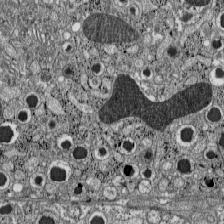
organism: C57BL Mouse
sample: Pancreatic islet